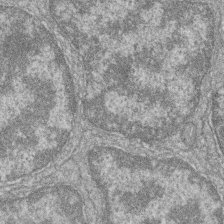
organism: Zebrafish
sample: Cilia; retinal pigment epithelium